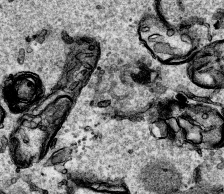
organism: Human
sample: Mitochondria in HCT116 cells